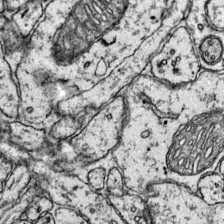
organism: Mouse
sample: Primary visual cortex